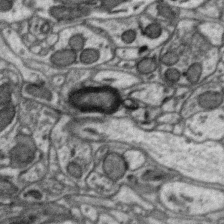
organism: Zebra finch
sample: Brain